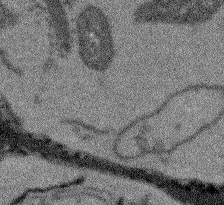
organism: Arabidopsis thaliana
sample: Root tip